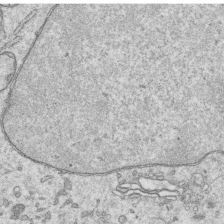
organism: Human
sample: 1205lu cells